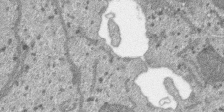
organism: Human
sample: Lung epithelial cells infected with SARS-CoV-2